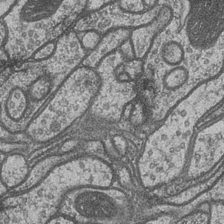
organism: Drosophila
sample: Optic medulla